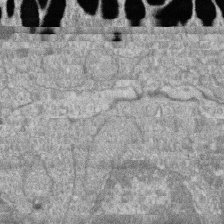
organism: Zebrafish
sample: Cilia; retinal pigment epithelium